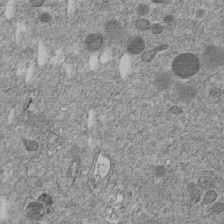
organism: C. elegans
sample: C. elegans embryo early stage